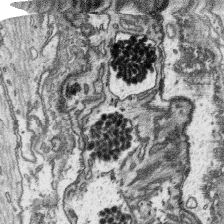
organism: Platynereis dumerilii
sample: Parapodia